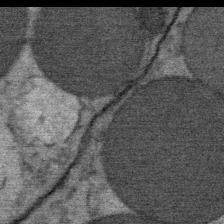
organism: Mouse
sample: Mouse Salivary gland